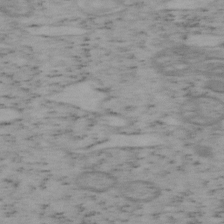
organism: Mouse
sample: OT-I killer T cells with ID8 ovarian cancer cells